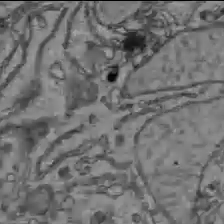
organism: C57BL Mouse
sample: Liver